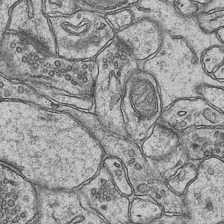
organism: Mouse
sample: CA1 Hippocampus